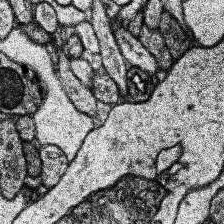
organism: Human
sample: Temporal Lobe